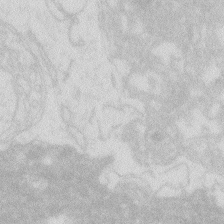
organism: Zebrafish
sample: Macrophage